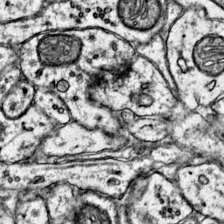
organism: Mouse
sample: Primary visual cortex